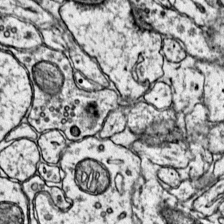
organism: Mouse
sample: Primary visual cortex